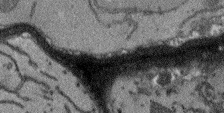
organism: Arabidopsis thaliana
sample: Root tip